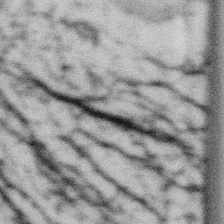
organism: Gemmata obscuriglobus